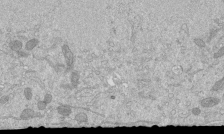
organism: Mouse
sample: ED-1 cell nuclei; centrioles